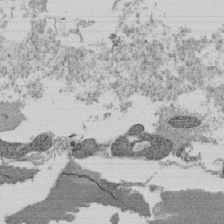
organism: Tetrahymena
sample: Cilia in tetrahymena